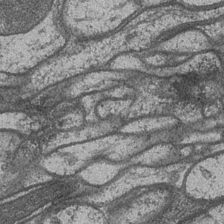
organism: Drosophila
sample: Optic medulla